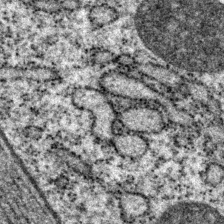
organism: P. pacificus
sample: Pharynx